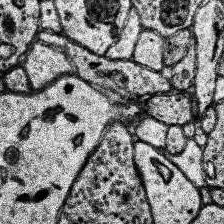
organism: Human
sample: Temporal Lobe